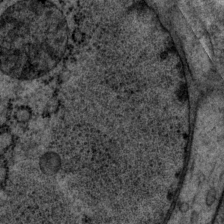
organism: P. pacificus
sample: Pharynx